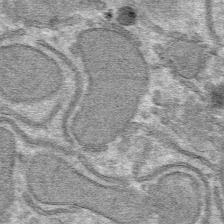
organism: Mouse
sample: Mouse hepatocytes